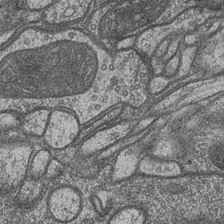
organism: Drosophila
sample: Optic medulla